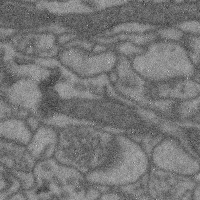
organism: Mouse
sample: Cerebral cortex